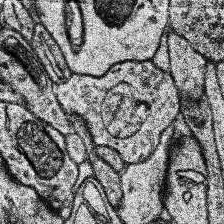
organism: Human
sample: Temporal Lobe